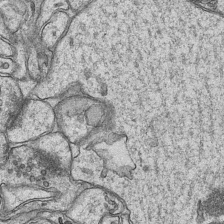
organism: Mouse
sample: CA1 Hippocampus